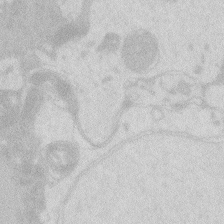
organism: Zebrafish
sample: Macrophage